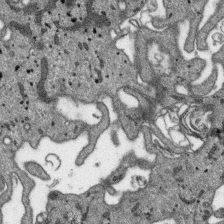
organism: Human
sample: Lung epithelial cells, uninfected (mock) control